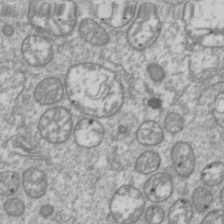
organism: Drosophila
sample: Cell division; meiosis; drosophila spermatocytes